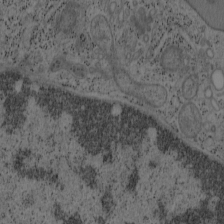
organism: Mouse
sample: OT-I killer T cells with ID8 ovarian cancer cells